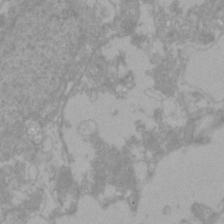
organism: Zebrafish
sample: Zebrafish embryo